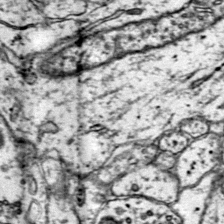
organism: Mouse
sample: Primary visual cortex